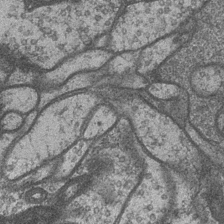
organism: Drosophila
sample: Optic medulla